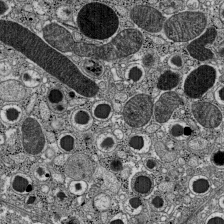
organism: C57BL Mouse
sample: Pancreatic islet